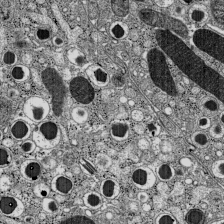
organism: C57BL Mouse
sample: Pancreatic islet